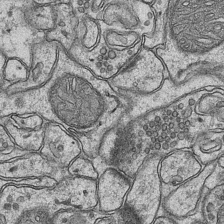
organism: Mouse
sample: CA1 Hippocampus